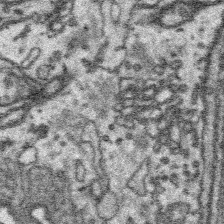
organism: Platynereis dumerilii